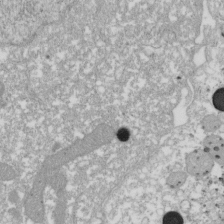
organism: Xenopus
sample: Cilia; centrioles in frog embryo cells